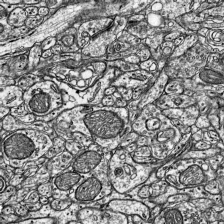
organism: Mouse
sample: Visual Cortex